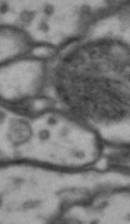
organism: Drosophila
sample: Brain